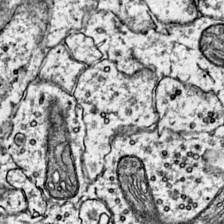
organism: Mouse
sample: Primary visual cortex